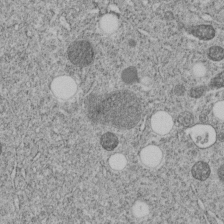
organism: C. elegans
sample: C. elegans embryo early stage